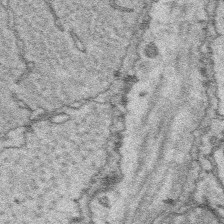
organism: Platynereis dumerilii